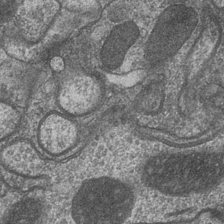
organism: Drosophila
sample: Optic medulla